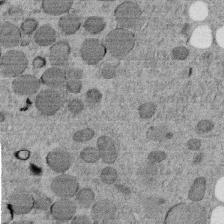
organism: C. elegans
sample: C. elegans embryo early stage